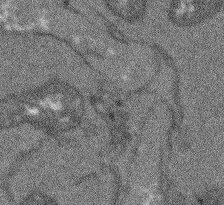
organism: Arabidopsis thaliana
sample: Root tip